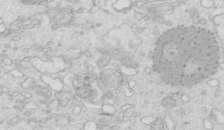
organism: Mouse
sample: Multiciliated cells